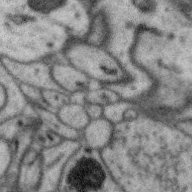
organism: Zebra finch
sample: Brain